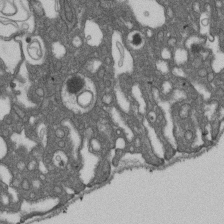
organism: Drosophila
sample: Nephrocyte